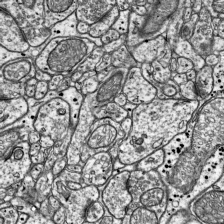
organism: Mouse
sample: Visual Cortex